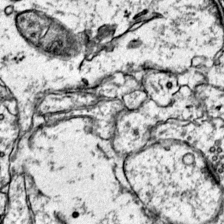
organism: Mouse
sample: Primary visual cortex